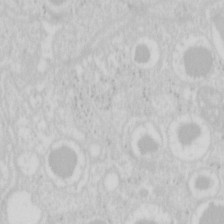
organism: Mouse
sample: Pancreas